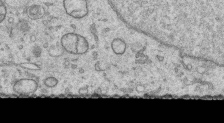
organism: Human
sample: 1205lu cells